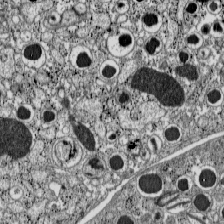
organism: C57BL Mouse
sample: Pancreatic islet